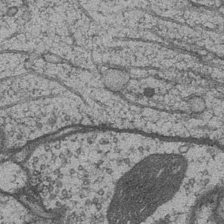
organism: Drosophila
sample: Optic medulla